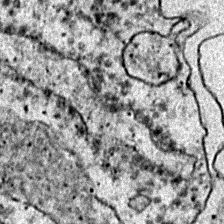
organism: Zebrafish